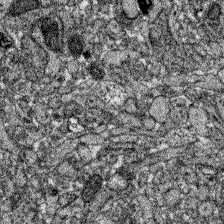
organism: Zebrafish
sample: Larval olfactory bulb